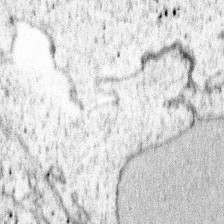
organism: Human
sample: HeLa cells